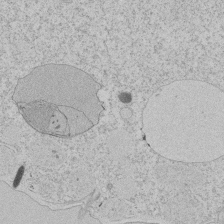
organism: Tetrahymena